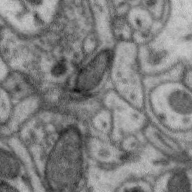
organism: Zebra finch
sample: Brain